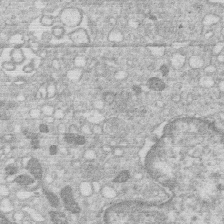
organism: Human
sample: Macrophage cells